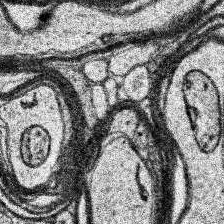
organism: Human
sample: Temporal Lobe